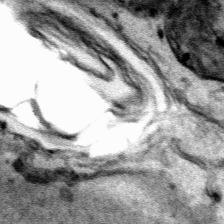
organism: Human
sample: Mitochondria in HCT116 cells